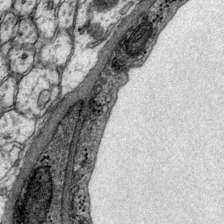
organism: Mouse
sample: Primary visual cortex